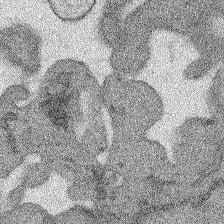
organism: Human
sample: HeLa cells